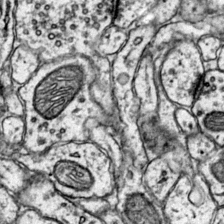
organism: Mouse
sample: Primary visual cortex